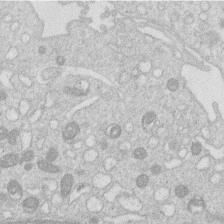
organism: Human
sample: Macrophage cells